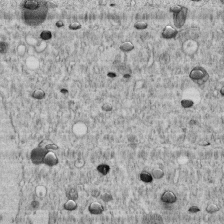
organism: C. elegans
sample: C. elegans embryo early stage